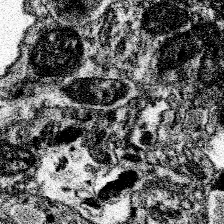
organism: Spongilla lacustris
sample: Neuroid cell